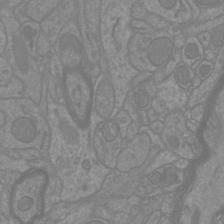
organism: Mouse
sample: Cortical neurons